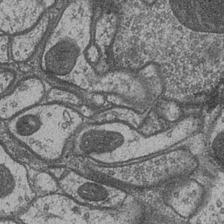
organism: Drosophila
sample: Optic medulla